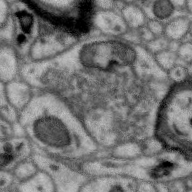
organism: Zebra finch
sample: Brain